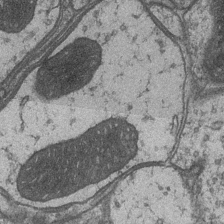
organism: Drosophila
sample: Optic medulla